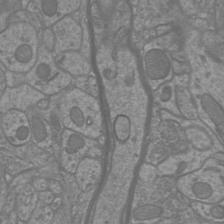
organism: Mouse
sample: Cortical neurons